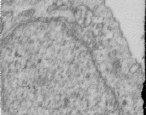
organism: Human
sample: Centriole in RPE cells